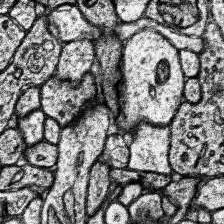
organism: Human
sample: Temporal Lobe